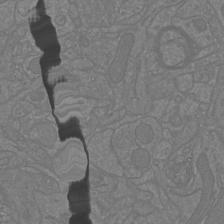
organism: Mouse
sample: Cortical neurons